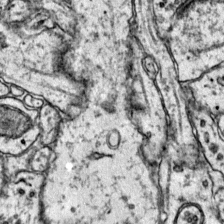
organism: Mouse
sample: Primary visual cortex